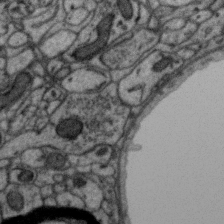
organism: Zebra finch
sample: Brain